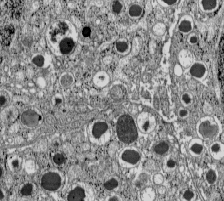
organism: C57BL Mouse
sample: Pancreatic islet